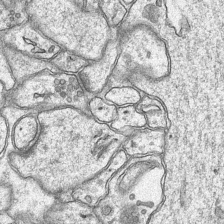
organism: Mouse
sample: CA1 Hippocampus